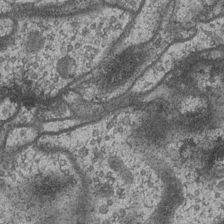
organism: Drosophila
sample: Optic medulla